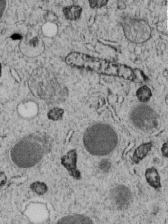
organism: C. elegans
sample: C. elegans embryo early stage